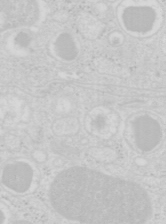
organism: Mouse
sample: Pancreas